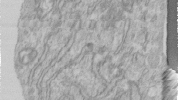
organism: Human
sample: Centriole in RPE cells